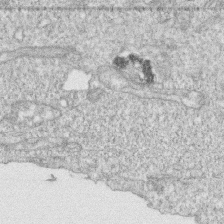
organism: Human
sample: HeLa cell HIV synapse